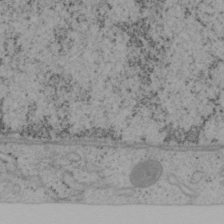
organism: Human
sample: HeLa cells